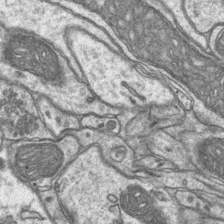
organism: Mouse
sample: CA1 Hippocampus